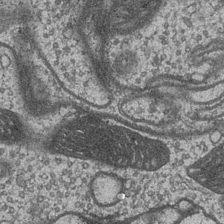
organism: Drosophila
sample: Optic medulla